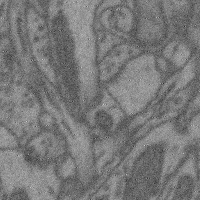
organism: Mouse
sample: Cerebral cortex